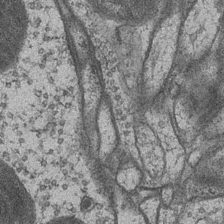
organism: Drosophila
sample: Optic medulla